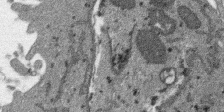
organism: Human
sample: Lung epithelial cells infected with SARS-CoV-2